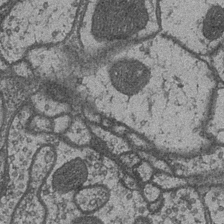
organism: Drosophila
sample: Optic medulla